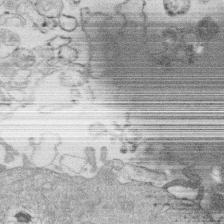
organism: Human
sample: Macrophage cells